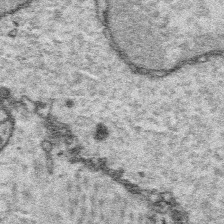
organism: Platynereis dumerilii